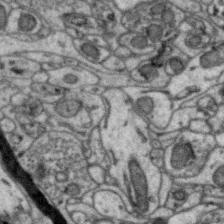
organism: Zebra finch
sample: Brain